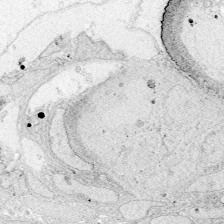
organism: Zebrafish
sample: Whole-Brain